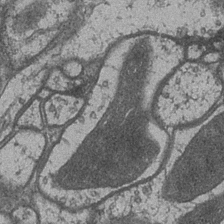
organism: Drosophila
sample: Optic medulla